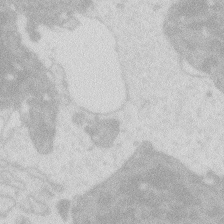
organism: Zebrafish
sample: Macrophage